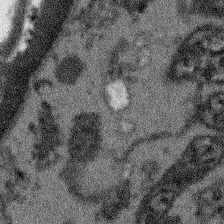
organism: Arabidopsis thaliana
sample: Root tip